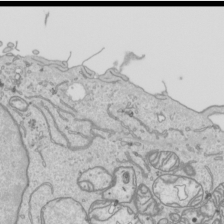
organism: Human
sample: Mitochondria in HCT116 cells